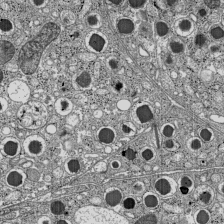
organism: C57BL Mouse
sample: Pancreatic islet